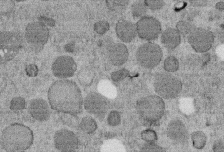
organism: C. elegans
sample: C. elegans embryo early stage